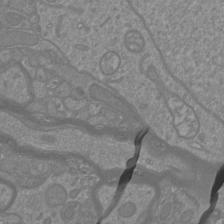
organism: Mouse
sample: Cortical neurons